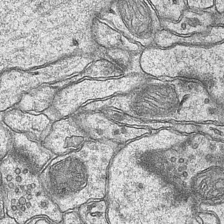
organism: Mouse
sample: CA1 Hippocampus